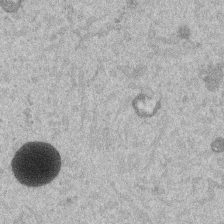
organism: Mouse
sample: Dividing mouse embryo 1 cell stage